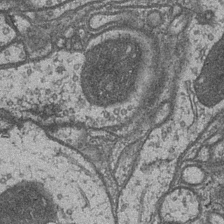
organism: Drosophila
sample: Optic medulla